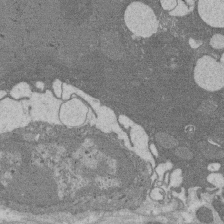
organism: Rat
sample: Salivary granule